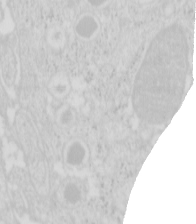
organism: Mouse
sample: Pancreas